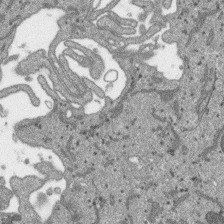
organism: Human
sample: Lung epithelial cells infected with SARS-CoV-2